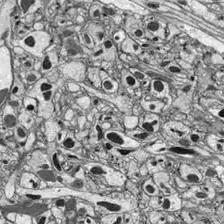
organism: Drosophila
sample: Optic lobe